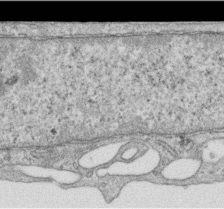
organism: Human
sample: Centriole in RPE cells